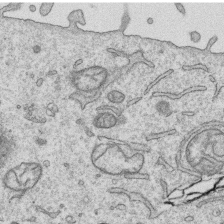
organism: Human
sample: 1205lu cells